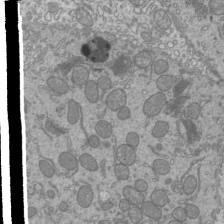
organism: Mouse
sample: Cilia; mouse epididymis